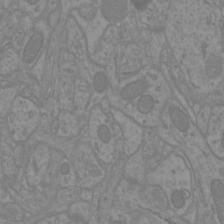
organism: Mouse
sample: Cortical neurons